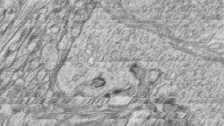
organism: Zebrafish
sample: synaptic ribbons in rod cells and cone cells